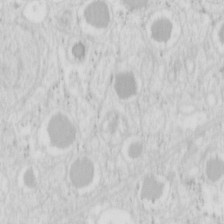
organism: Mouse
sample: Pancreas